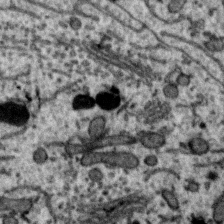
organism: Zebra finch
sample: Brain